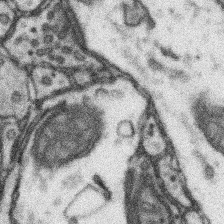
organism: Mouse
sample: Somatosensory cortex neuropil